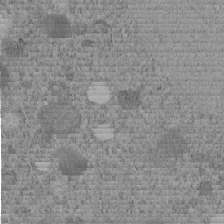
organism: C. elegans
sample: C. elegans embryo early stage